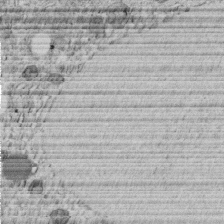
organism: C. elegans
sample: C. elegans embryo early stage